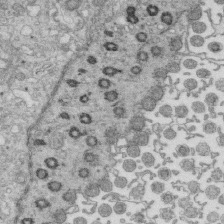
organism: Mouse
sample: Multiciliated cells